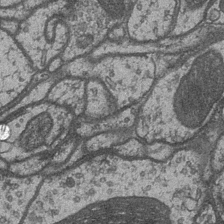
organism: Drosophila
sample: Optic medulla